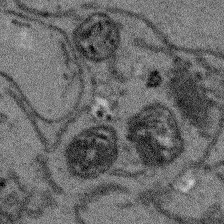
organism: Arabidopsis thaliana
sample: Root tip